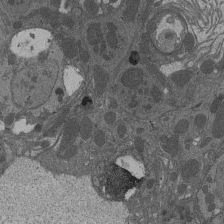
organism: Drosophila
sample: Antenna